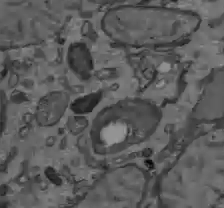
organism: C57BL Mouse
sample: Liver